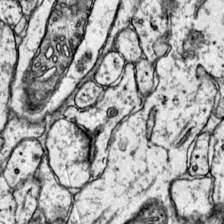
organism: Mouse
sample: Primary visual cortex